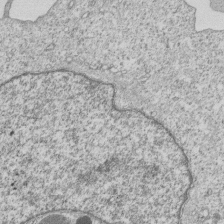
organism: Human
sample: MDA-MB-231 cells